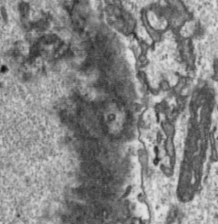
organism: Toxoplasma gondii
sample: Parasites in a vacuole inside a host cell